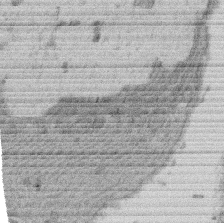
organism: Rat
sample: Salivary granule